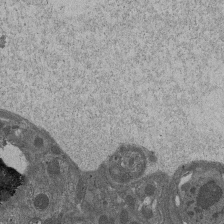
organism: Drosophila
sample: Antenna